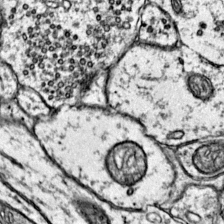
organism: Mouse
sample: Primary visual cortex